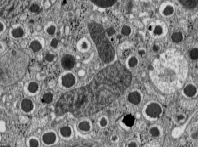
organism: C57BL Mouse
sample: Pancreatic islet